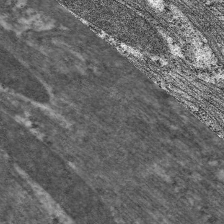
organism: C. elegans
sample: Pharynx